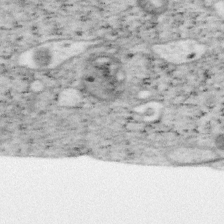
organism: Mouse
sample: OT-I killer T cells with ID8 ovarian cancer cells